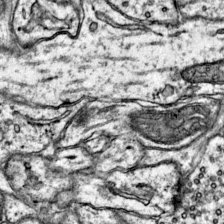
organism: Mouse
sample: Primary visual cortex